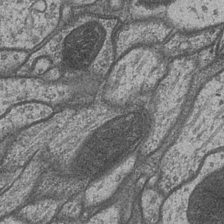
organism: Drosophila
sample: Optic medulla